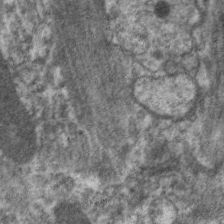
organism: C. elegans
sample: Pharynx